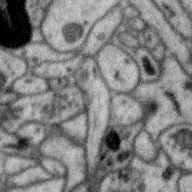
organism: Zebra finch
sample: Brain